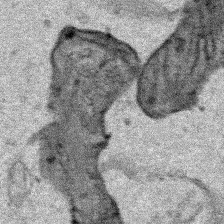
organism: Human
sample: Mitochondria in HCT116 cells